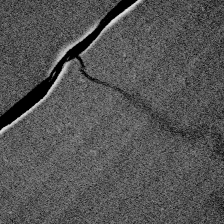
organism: Zebrafish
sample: Whole-Brain